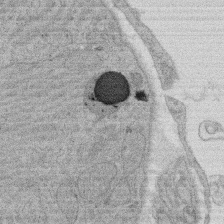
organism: Rat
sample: Salivary granule